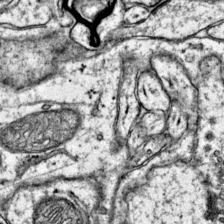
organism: Mouse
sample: Primary visual cortex